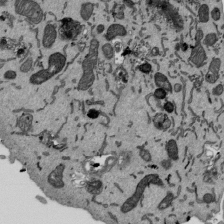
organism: Mouse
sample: ED-1 cell nuclei; centrioles